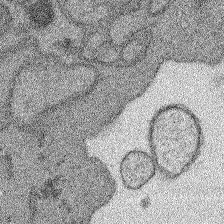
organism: Human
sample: HeLa cells